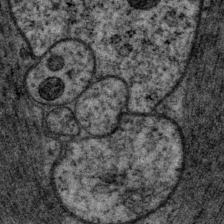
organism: P. pacificus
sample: Pharynx